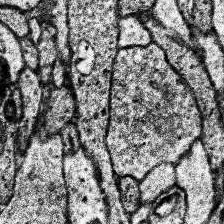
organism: Human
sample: Temporal Lobe